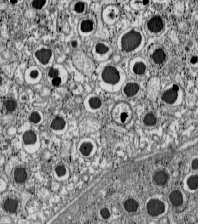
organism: C57BL Mouse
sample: Pancreatic islet